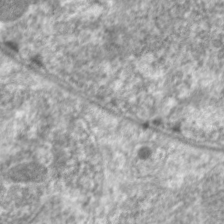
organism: C. elegans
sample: Pharynx